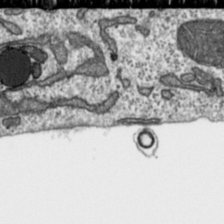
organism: Toxoplasma gondii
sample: Parasites in a vacuole inside a host cell